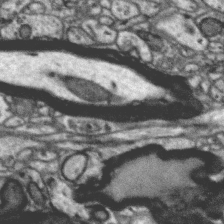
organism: Zebra finch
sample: Brain